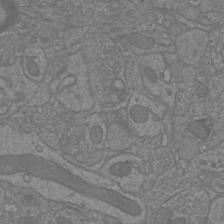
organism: Mouse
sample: Cortical neurons